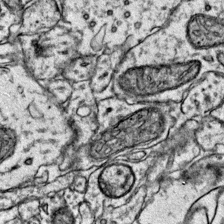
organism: Mouse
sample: Primary visual cortex